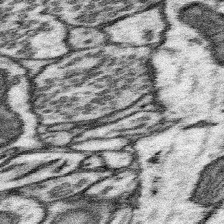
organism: Mouse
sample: Somatosensory cortex neuropil